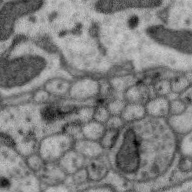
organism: Zebra finch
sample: Brain